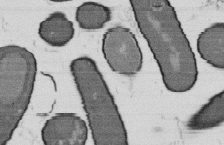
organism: B. subtilis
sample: Bacterial spore